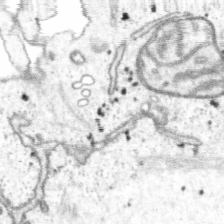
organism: Human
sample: HeLa cells